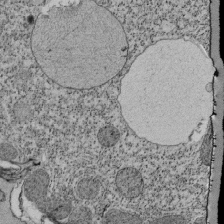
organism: Tetrahymena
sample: Cilia in tetrahymena